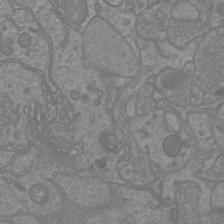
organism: Mouse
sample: Cortical neurons